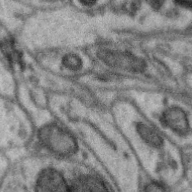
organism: Zebra finch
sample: Brain